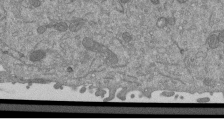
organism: Mouse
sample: ED-1 cell nuclei; centrioles